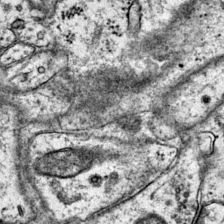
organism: Mouse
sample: Primary visual cortex